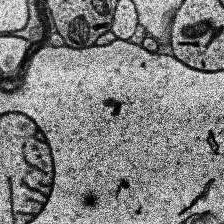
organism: Human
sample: Temporal Lobe